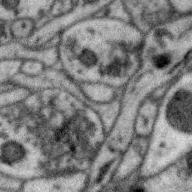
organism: Zebra finch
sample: Brain